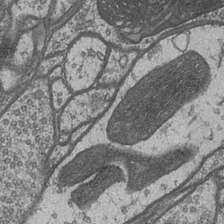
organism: Drosophila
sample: Optic medulla